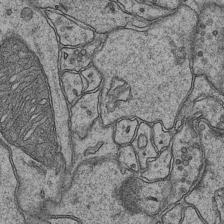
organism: Mouse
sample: CA1 Hippocampus